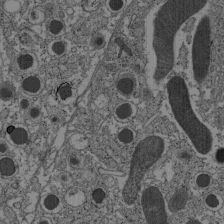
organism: C57BL Mouse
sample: Pancreatic islet